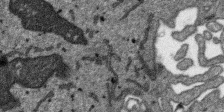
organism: Human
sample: Lung epithelial cells infected with SARS-CoV-2